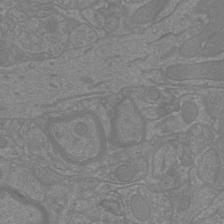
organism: Mouse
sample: Cortical neurons